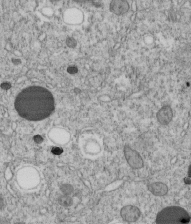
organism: C. elegans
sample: C. elegans embryo early stage